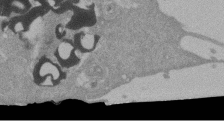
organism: Mouse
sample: ED-1 cell nuclei; centrioles